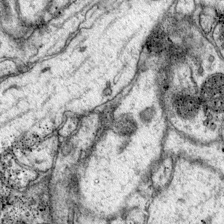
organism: Mouse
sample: Primary visual cortex